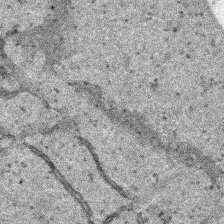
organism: Human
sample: Mitochondria in HCT116 cells